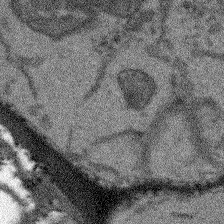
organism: Arabidopsis thaliana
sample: Root tip